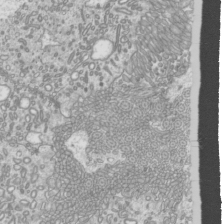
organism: Mouse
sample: Cilia; mouse epididymis